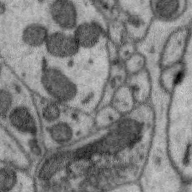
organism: Zebra finch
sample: Brain